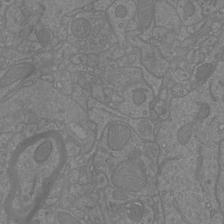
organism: Mouse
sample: Cortical neurons